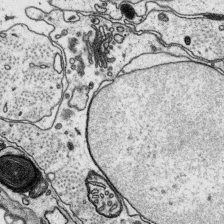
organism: Platynereis dumerilii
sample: Parapodia